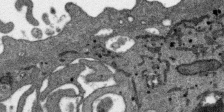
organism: Human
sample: Lung epithelial cells, uninfected (mock) control